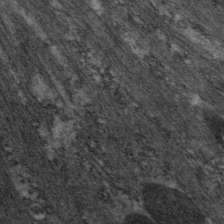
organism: C. elegans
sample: Pharynx